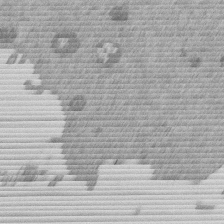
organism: Mouse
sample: Dividing mouse embryo 1 cell stage